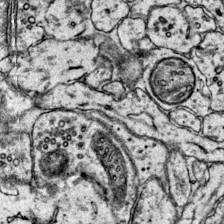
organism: Mouse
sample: Primary visual cortex